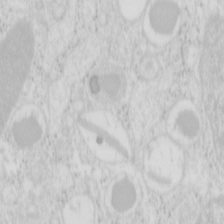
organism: Mouse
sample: Pancreas